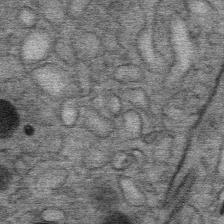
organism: Mouse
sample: Mouse Salivary gland